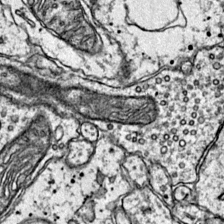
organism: Mouse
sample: Primary visual cortex